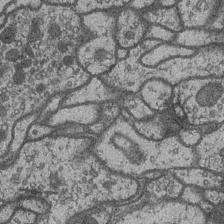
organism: Drosophila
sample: Optic medulla